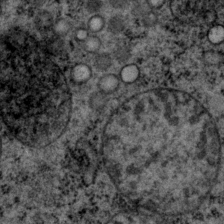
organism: P. pacificus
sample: Pharynx